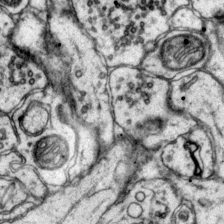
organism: Mouse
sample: Primary visual cortex